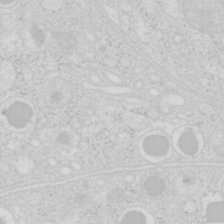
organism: Mouse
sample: Pancreas